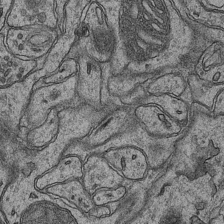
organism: Mouse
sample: CA1 Hippocampus